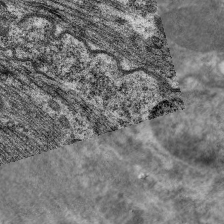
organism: C. elegans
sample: Pharynx